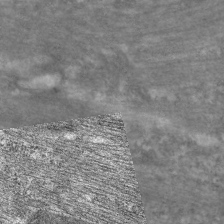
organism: C. elegans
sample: Pharynx